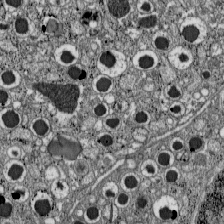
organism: C57BL Mouse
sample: Pancreatic islet